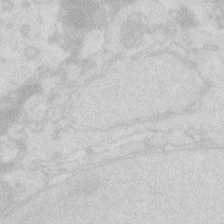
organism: Zebrafish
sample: Macrophage